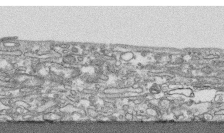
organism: Human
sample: CRL-1474